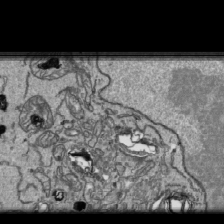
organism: Human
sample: Mitochondria in HCT116 cells